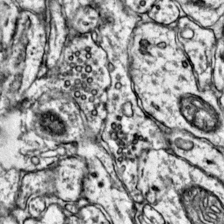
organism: Mouse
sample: Primary visual cortex